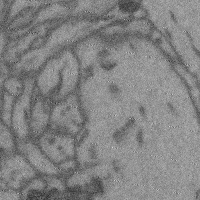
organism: Mouse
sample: Cerebral cortex